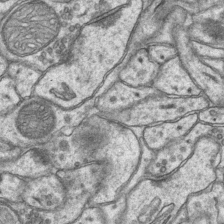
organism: Mouse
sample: CA1 Hippocampus